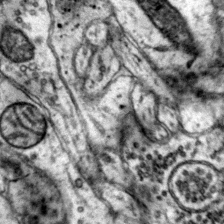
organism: Mouse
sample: Primary visual cortex